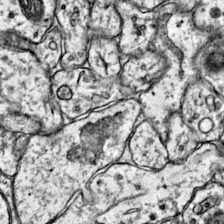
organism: Mouse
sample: Primary visual cortex